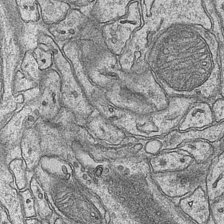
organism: Mouse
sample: CA1 Hippocampus